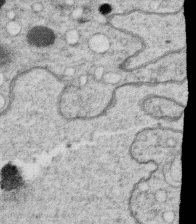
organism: C. elegans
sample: C. elegans oocyte; sperm cells